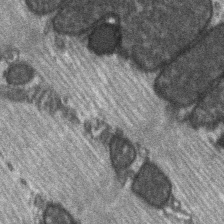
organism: C57BL Mouse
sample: Soleus